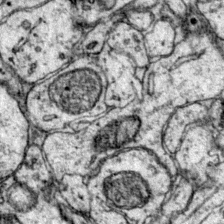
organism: Mouse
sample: Primary visual cortex